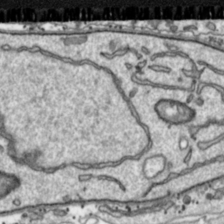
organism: Toxoplasma gondii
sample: Parasites in a vacuole inside a host cell